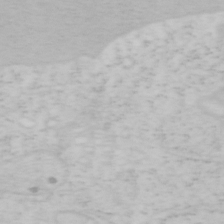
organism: Mouse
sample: OT-I killer T cells with ID8 ovarian cancer cells